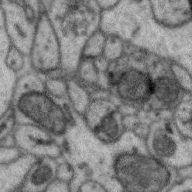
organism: Zebra finch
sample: Brain